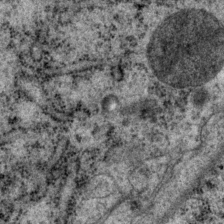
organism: P. pacificus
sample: Pharynx